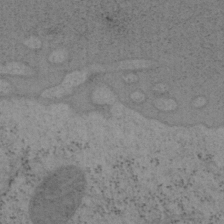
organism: Mouse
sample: OT-I killer T cells with ID8 ovarian cancer cells